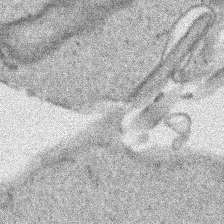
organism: Human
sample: Mitochondria in HCT116 cells